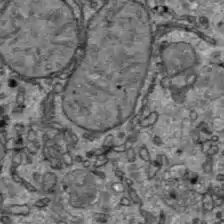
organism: C57BL Mouse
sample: Liver